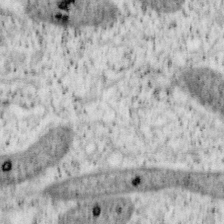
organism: Mouse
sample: OT-I killer T cells with ID8 ovarian cancer cells